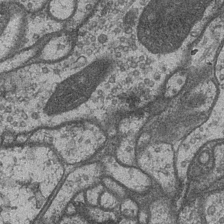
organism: Drosophila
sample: Optic medulla